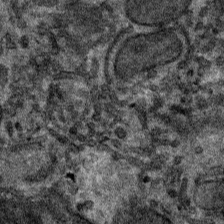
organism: Mouse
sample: Mouse hepatocytes